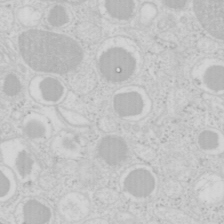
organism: Mouse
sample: Pancreas